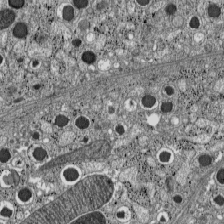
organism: C57BL Mouse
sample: Pancreatic islet